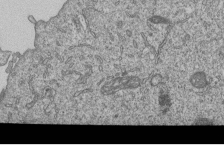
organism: Human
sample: MDA-MB-231 cells